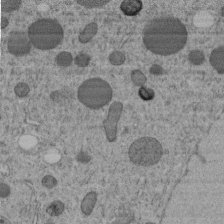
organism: C. elegans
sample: C. elegans embryo early stage